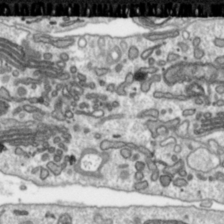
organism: Toxoplasma gondii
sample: Parasites in a vacuole inside a host cell